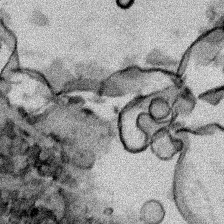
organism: Human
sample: Mitochondria in HCT116 cells